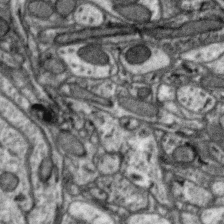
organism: Zebra finch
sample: Brain